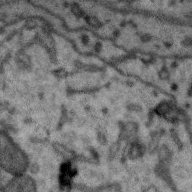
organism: Zebra finch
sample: Brain